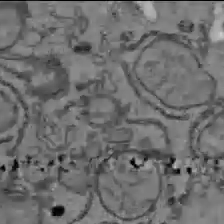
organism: C57BL Mouse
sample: Liver